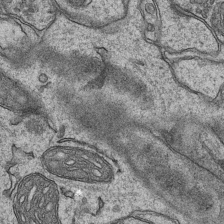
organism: Mouse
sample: CA1 Hippocampus